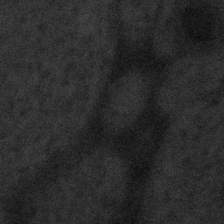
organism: Tuwongella immobilis